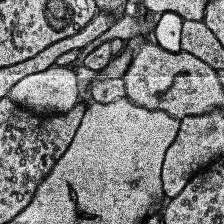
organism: Human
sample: Temporal Lobe